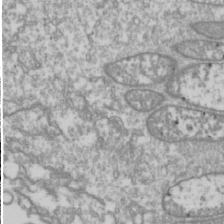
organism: Drosophila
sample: Cell division; meiosis; drosophila spermatocytes